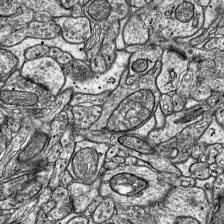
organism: Mouse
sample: Visual Cortex